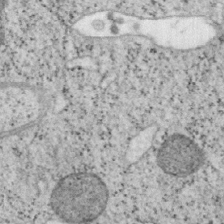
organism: Mouse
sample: OT-I killer T cells with ID8 ovarian cancer cells